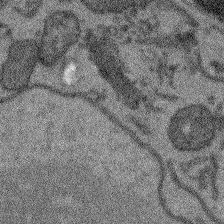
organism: Arabidopsis thaliana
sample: Root tip